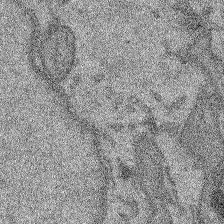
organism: Human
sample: HeLa cells